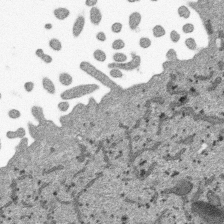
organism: Human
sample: Lung epithelial cells infected with SARS-CoV-2